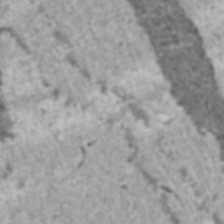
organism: C57BL Mouse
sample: Heart